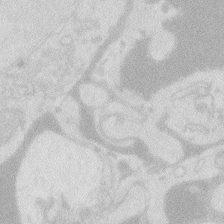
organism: Zebrafish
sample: Macrophage